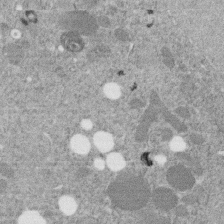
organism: C. elegans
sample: C. elegans embryo early stage